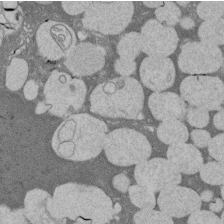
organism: Rat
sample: Salivary granule